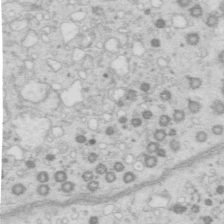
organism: Mouse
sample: Multiciliated cells